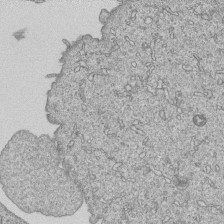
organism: Human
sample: MDA-MB-231 cells